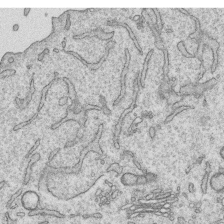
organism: Human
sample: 1205lu cells